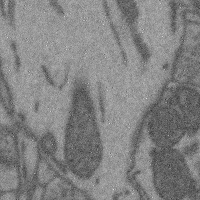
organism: Mouse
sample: Cerebral cortex